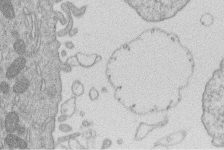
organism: Human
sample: Macrophage cells